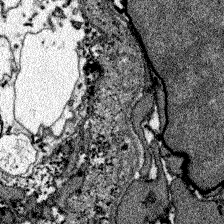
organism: Zebrafish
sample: Larval olfactory bulb